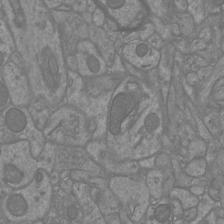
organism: Mouse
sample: Cortical neurons